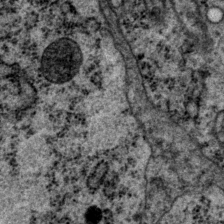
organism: P. pacificus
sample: Pharynx